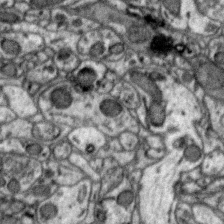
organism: Zebra finch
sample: Brain